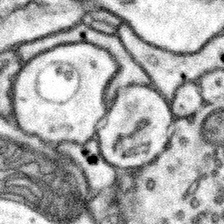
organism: Mouse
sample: Somatosensory cortex neuropil